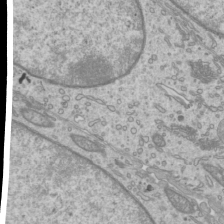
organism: Mouse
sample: Cilia; mouse epididymis